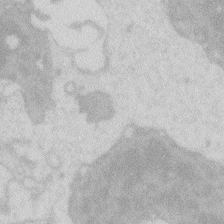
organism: Zebrafish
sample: Macrophage